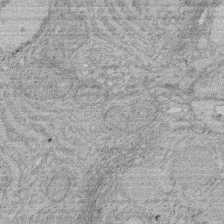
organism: Rat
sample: Salivary granule